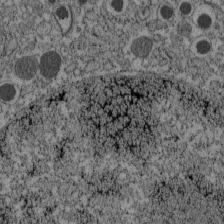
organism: C57BL Mouse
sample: Pancreatic islet